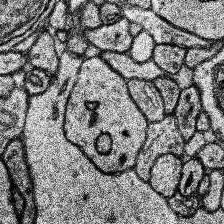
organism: Human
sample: Temporal Lobe